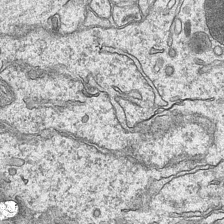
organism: Mouse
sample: CA1 Hippocampus